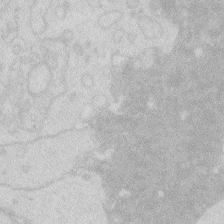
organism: Zebrafish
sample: Macrophage